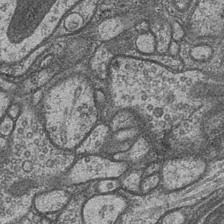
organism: Drosophila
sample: Optic medulla